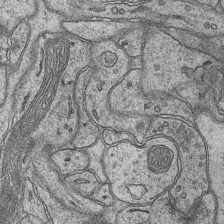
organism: Mouse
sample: CA1 Hippocampus